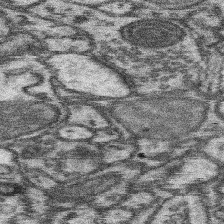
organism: Mouse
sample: Somatosensory cortex neuropil